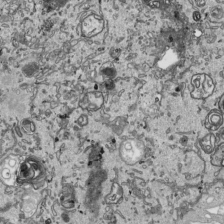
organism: Human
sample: Mitochondria in HCT116 cells